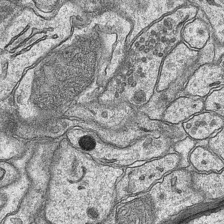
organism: Mouse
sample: CA1 Hippocampus